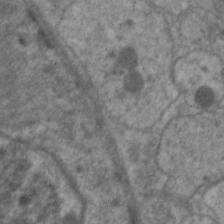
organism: C. elegans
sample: Pharynx